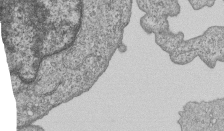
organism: Human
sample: MDA-MB-231 cells